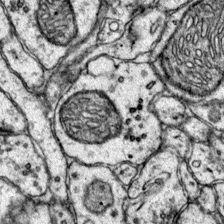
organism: Mouse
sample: Primary visual cortex